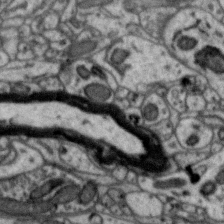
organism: Zebra finch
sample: Brain